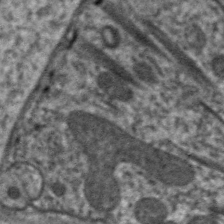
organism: C. elegans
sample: Pharynx